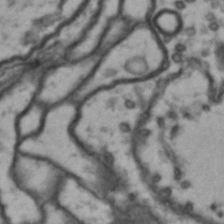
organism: Drosophila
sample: Brain